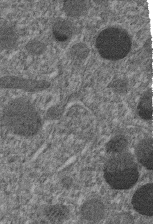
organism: C. elegans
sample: C. elegans embryo early stage